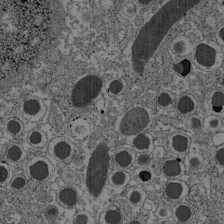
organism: C57BL Mouse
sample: Pancreatic islet